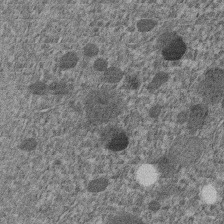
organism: C. elegans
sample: C. elegans embryo early stage